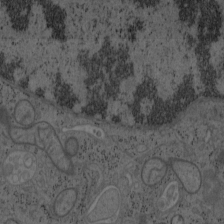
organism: Mouse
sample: OT-I killer T cells with ID8 ovarian cancer cells